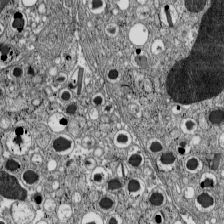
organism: C57BL Mouse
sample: Pancreatic islet